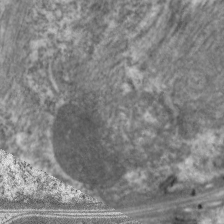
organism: C. elegans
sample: Pharynx